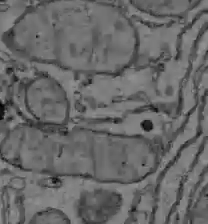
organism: C57BL Mouse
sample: Liver